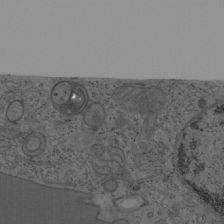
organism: Human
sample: HeLa cells